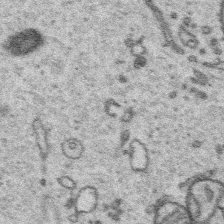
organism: Platynereis dumerilii